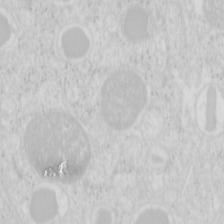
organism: Mouse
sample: Pancreas